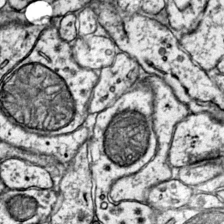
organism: Mouse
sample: Primary visual cortex